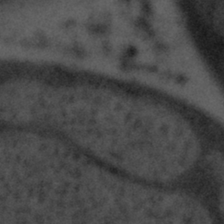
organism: Tuwongella immobilis